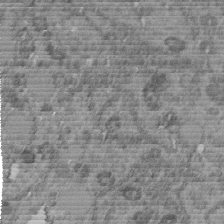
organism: C. elegans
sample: C. elegans embryo early stage